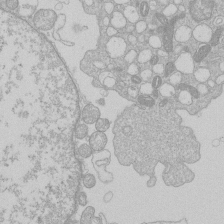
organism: Human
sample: Macrophage cells